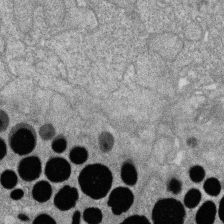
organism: Zebrafish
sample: Cilia; retinal pigment epithelium